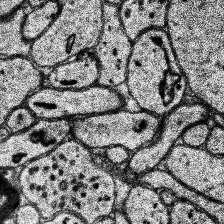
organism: Human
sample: Temporal Lobe